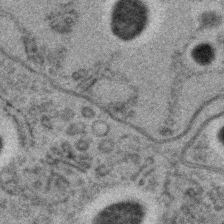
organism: C. elegans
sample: C. elegans embryo